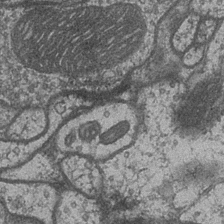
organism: Drosophila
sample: Optic medulla